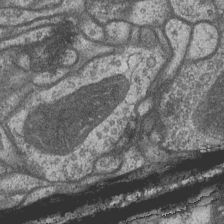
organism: Drosophila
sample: Optic medulla